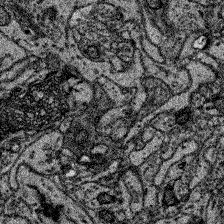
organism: Zebrafish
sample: Larval olfactory bulb